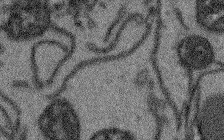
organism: Arabidopsis thaliana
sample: Root tip